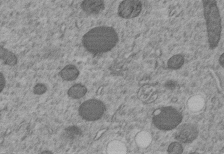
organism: C. elegans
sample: C. elegans embryo early stage